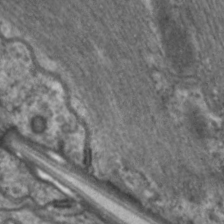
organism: C. elegans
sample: Pharynx